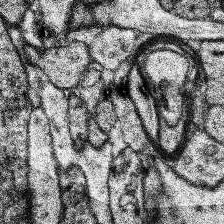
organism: Human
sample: Temporal Lobe